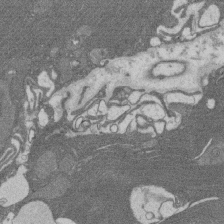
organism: Rat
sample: Salivary granule